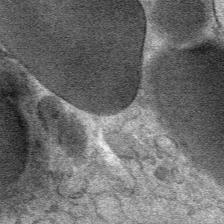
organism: Mouse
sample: Mouse Salivary gland